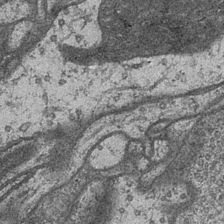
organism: Drosophila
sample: Optic medulla